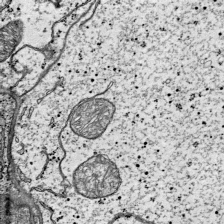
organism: Mouse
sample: Visual Cortex